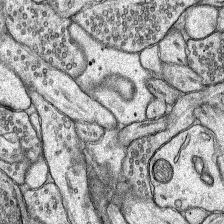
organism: Rat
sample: Hippocampus